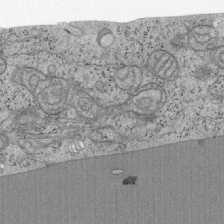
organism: Human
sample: HeLa cells